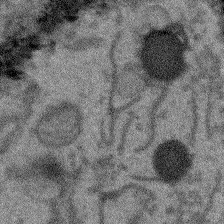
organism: Arabidopsis thaliana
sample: Root tip